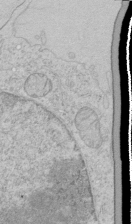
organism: Human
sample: Mitochondria in HCT116 cells